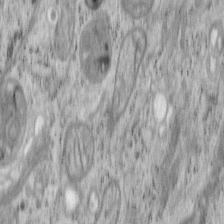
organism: Human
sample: HeLa cells